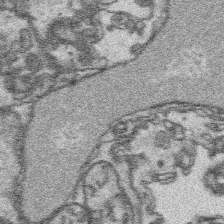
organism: Platynereis dumerilii